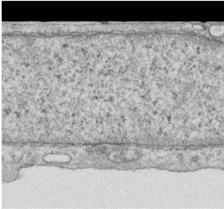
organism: Human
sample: Centriole in RPE cells